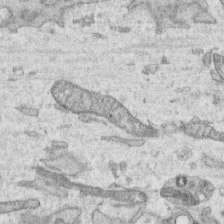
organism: Human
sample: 1205lu cells